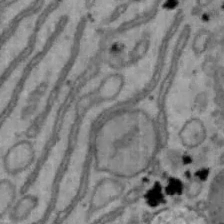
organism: Mouse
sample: Liver